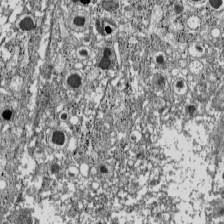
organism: C57BL Mouse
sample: Pancreatic islet